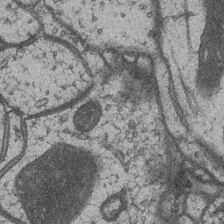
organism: Drosophila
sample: Optic medulla